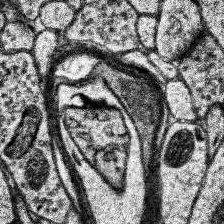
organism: Human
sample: Temporal Lobe